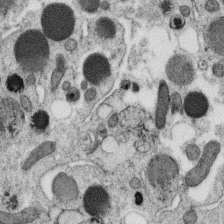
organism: C. elegans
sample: C. elegans oocyte; sperm cells